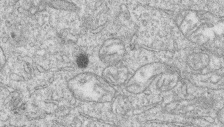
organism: Human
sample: HeLa cell HIV synapse